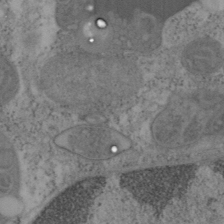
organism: Mouse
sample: OT-I killer T cells with ID8 ovarian cancer cells